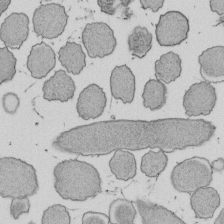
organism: E. coli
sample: Bacterial nucleoid